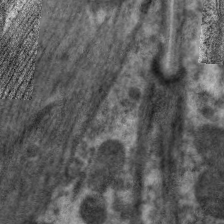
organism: C. elegans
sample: Pharynx